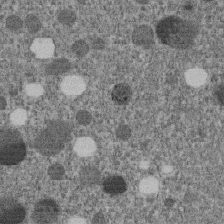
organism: C. elegans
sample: C. elegans embryo early stage